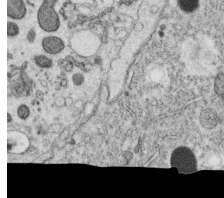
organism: C. elegans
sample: C. elegans oocyte; sperm cells